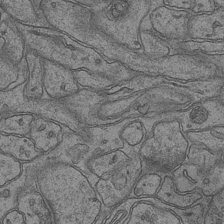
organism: Mouse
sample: CA1 Hippocampus